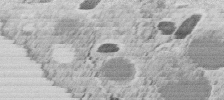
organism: C. elegans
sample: C. elegans embryo early stage